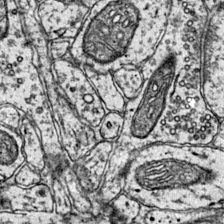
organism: Mouse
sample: Primary visual cortex